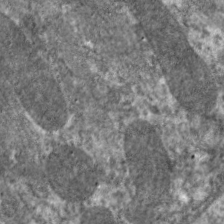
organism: C. elegans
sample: Pharynx